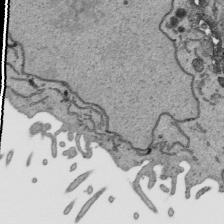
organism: Human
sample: Mitochondria in HCT116 cells